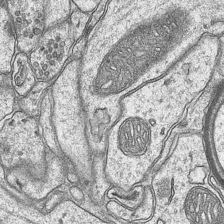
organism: Mouse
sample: CA1 Hippocampus